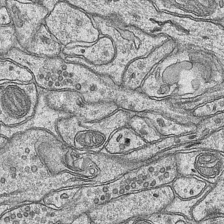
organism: Mouse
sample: CA1 Hippocampus